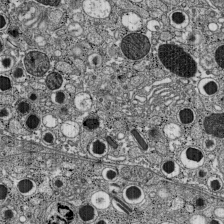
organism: C57BL Mouse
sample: Pancreatic islet